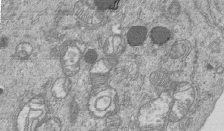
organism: Human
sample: MDA-MB-231 cells